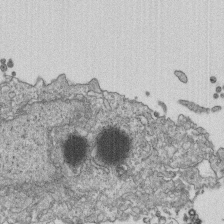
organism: Human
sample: HeLa cell HIV synapse